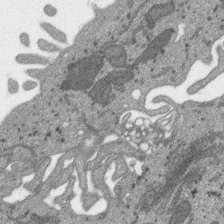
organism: Human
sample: Lung epithelial cells infected with SARS-CoV-2